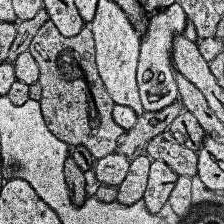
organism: Human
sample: Temporal Lobe